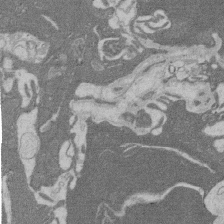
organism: Rat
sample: Salivary granule